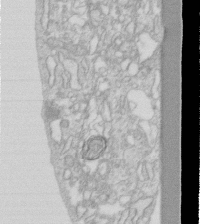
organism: Human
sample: Fibroblast cells